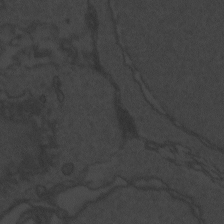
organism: Zebrafish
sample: Macrophage infected with Toxoplasma gondii